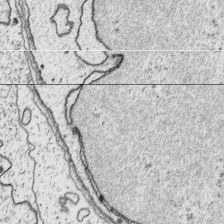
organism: Platynereis dumerilii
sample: Parapodia